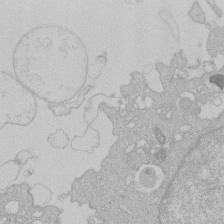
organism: Human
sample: Macrophage cells